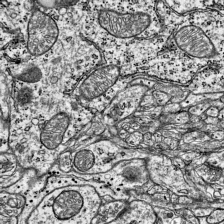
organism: Mouse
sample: Visual Cortex